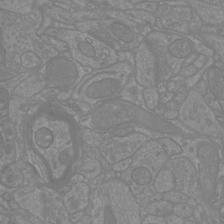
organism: Mouse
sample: Cortical neurons